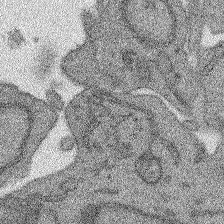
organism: Human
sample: HeLa cells